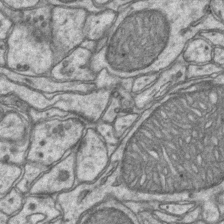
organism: Mouse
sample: CA1 Hippocampus